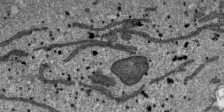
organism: Human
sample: Lung epithelial cells, uninfected (mock) control